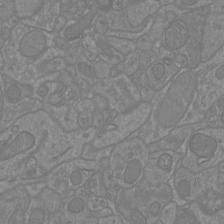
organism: Mouse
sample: Cortical neurons